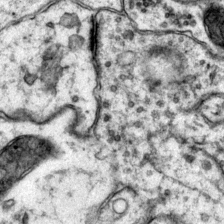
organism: Mouse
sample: Primary visual cortex